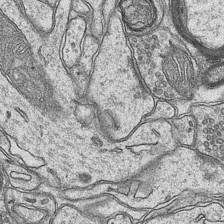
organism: Mouse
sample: CA1 Hippocampus